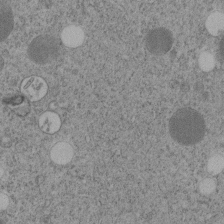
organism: C. elegans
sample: C. elegans embryo early stage